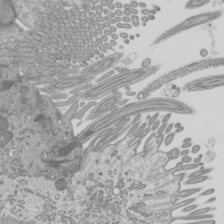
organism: Mouse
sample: Cilia; mouse epididymis